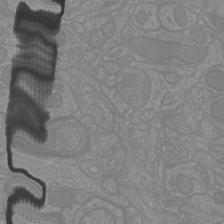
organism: Mouse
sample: Cortical neurons